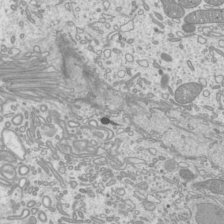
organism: Mouse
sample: Cilia; mouse epididymis